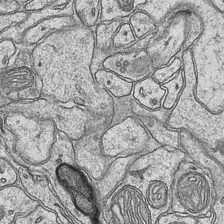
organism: Mouse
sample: CA1 Hippocampus